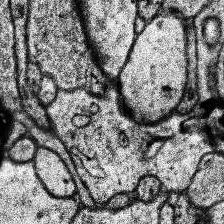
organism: Human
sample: Temporal Lobe